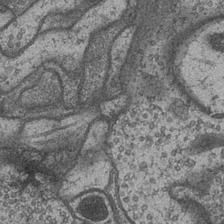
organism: Drosophila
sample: Optic medulla